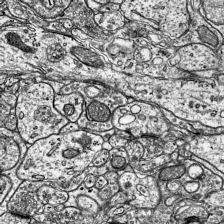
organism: Mouse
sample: Visual Cortex